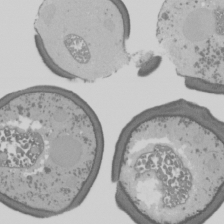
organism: S. cerevisiae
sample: Yeast cells